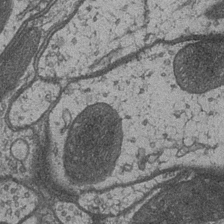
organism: Drosophila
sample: Optic medulla